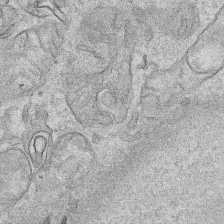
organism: Human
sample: Mitochondria in HCT116 cells